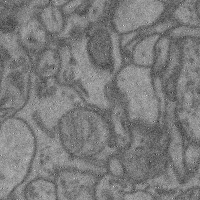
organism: Mouse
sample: Cerebral cortex